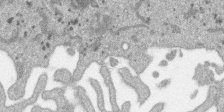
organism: Human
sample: Lung epithelial cells infected with SARS-CoV-2